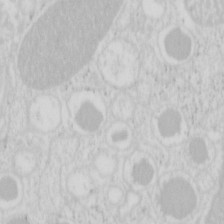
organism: Mouse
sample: Pancreas